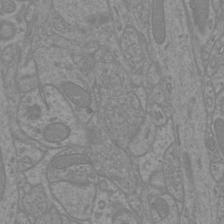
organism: Mouse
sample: Cortical neurons